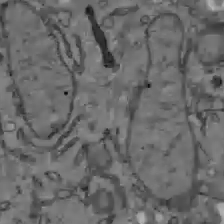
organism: C57BL Mouse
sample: Liver